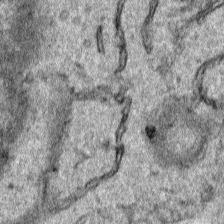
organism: Human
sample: Mitochondria in HCT116 cells